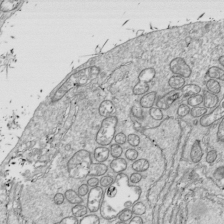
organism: Drosophila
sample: Cell division; meiosis; drosophila spermatocytes